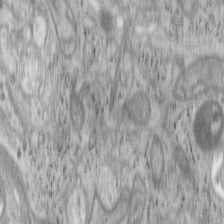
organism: Human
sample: HeLa cells